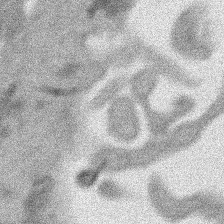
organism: Human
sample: Mitochondria in HCT116 cells